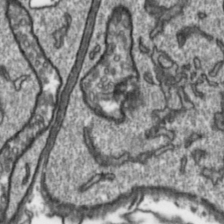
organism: Toxoplasma gondii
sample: Parasites in a vacuole inside a host cell